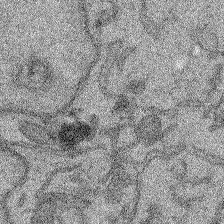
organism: Human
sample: HeLa cells